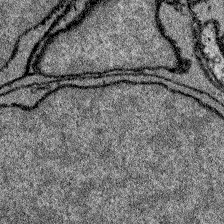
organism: Zebrafish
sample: Larval olfactory bulb